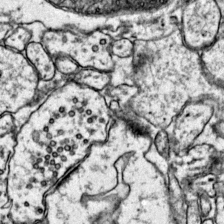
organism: Mouse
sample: Primary visual cortex